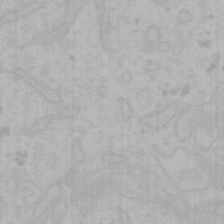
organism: Mouse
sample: Choroid plexus